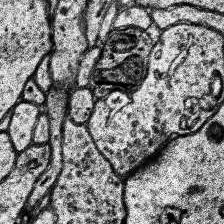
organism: Human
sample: Temporal Lobe